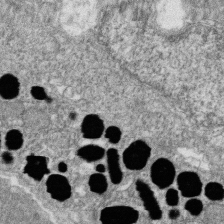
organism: Zebrafish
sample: Cilia; retinal pigment epithelium